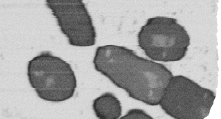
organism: B. subtilis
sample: Bacterial spore